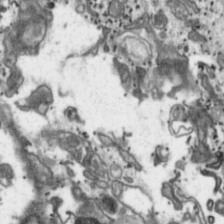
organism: Toxoplasma gondii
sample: Parasites in a vacuole inside a host cell